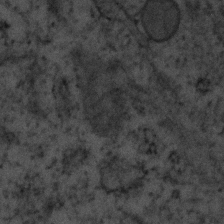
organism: Human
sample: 1205lu cells